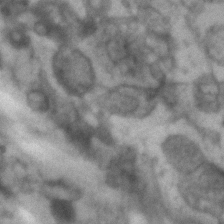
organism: Human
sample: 1205lu cells